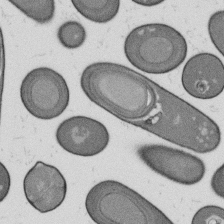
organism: B. subtilis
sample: Bacterial spore